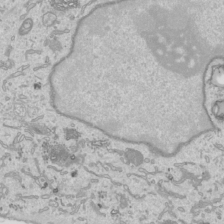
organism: Human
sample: Mitochondria in HCT116 cells